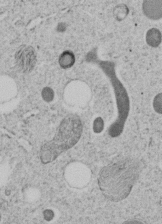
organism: C. elegans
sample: C. elegans embryo early stage